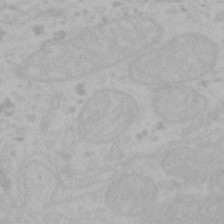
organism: Mouse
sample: Choroid plexus